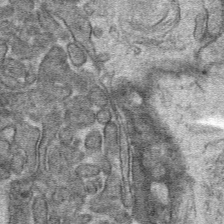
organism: Mouse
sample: Mouse hepatocytes